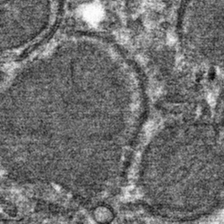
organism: Mouse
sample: Mouse hepatocytes